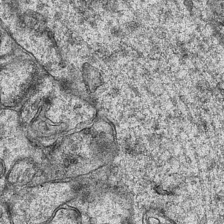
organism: Mouse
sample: CA1 Hippocampus